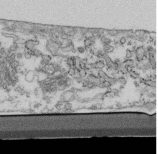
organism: Mouse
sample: Cilia; retinal pigment epithelium